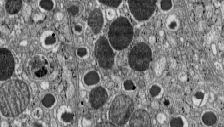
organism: C57BL Mouse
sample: Pancreatic islet